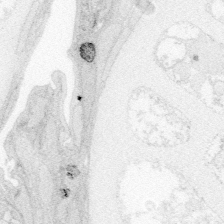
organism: Zebrafish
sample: Whole-Brain